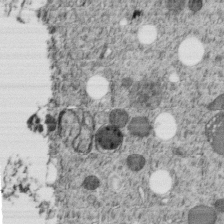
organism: C. elegans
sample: C. elegans embryo early stage